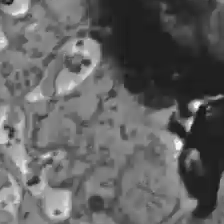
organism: C57BL Mouse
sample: Liver